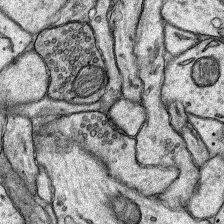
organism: Rat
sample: Hippocampus